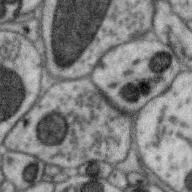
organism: Zebra finch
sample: Brain